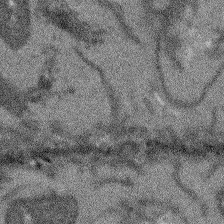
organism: Arabidopsis thaliana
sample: Root tip